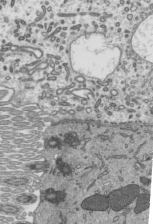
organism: Mouse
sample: Mouse epididymis efferent ductule cilia